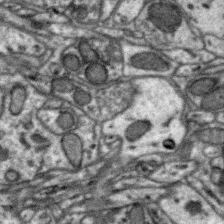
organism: Zebra finch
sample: Brain